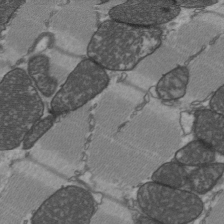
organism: C57BL Mouse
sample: Heart